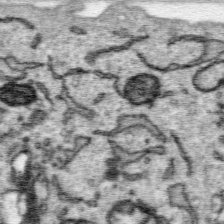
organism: Human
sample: HeLa cells